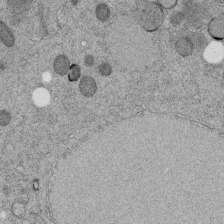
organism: C. elegans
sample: C. elegans embryo early stage